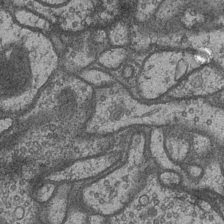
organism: Drosophila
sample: Optic medulla